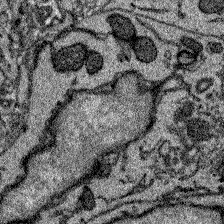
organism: Zebrafish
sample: Larval olfactory bulb